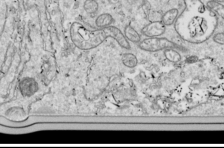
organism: Drosophila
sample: Cell division; meiosis; drosophila spermatocytes